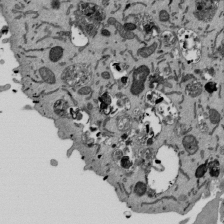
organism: Mouse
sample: ED-1 cell nuclei; centrioles